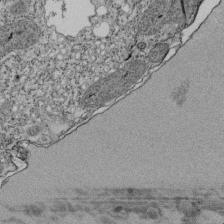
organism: Tetrahymena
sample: Cilia in tetrahymena